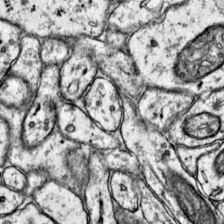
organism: Mouse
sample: Primary visual cortex